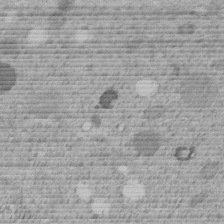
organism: C. elegans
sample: C. elegans embryo early stage